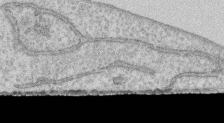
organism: Human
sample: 1205lu cells